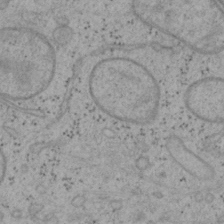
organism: Human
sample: HeLa cells